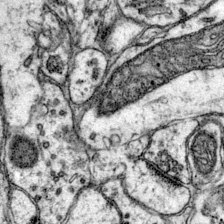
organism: Mouse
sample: Primary visual cortex